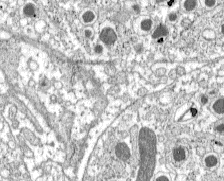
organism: C57BL Mouse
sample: Pancreatic islet